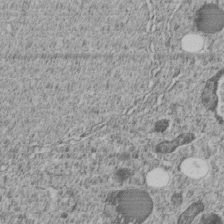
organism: C. elegans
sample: C. elegans embryo early stage